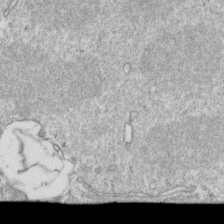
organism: Mouse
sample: Activated OT-1 CD8+ T cells